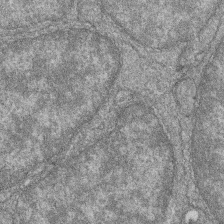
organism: Zebrafish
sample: Cilia; retinal pigment epithelium